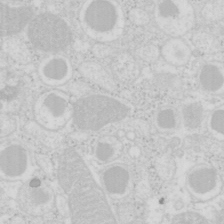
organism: Mouse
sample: Pancreas